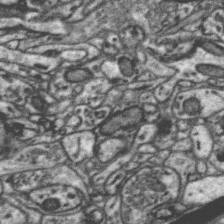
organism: Zebra finch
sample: Brain